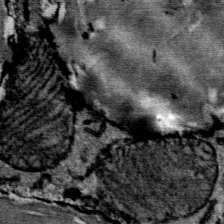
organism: Mouse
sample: Mouse Salivary gland